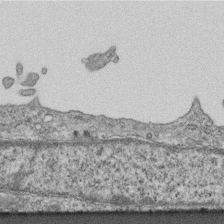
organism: Mouse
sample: Centriole in ependymal cells